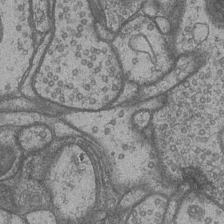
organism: Drosophila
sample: Optic medulla